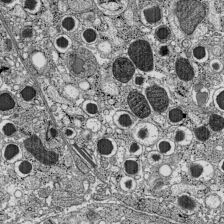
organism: C57BL Mouse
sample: Pancreatic islet